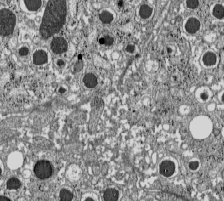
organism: C57BL Mouse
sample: Pancreatic islet